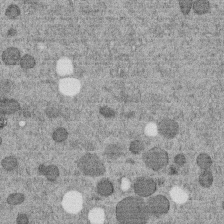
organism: C. elegans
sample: C. elegans embryo early stage